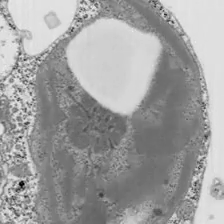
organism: Chlamydomonas reinhardtii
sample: Whole Cell